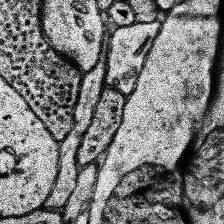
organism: Human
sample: Temporal Lobe